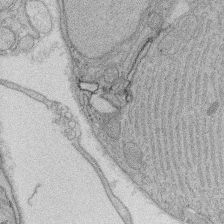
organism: Rat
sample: Salivary granule